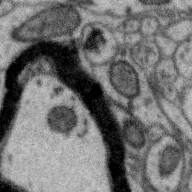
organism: Zebra finch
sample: Brain